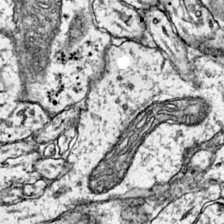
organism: Mouse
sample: Primary visual cortex